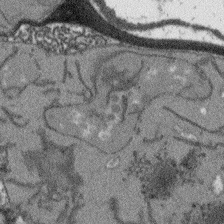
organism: Arabidopsis thaliana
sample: Root tip